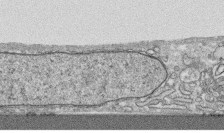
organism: Human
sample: CRL-1474